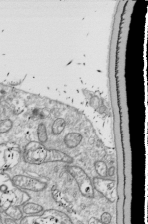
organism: Drosophila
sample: Cell division; meiosis; drosophila spermatocytes